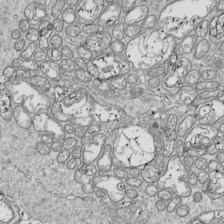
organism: Drosophila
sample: Cell division; meiosis; drosophila spermatocytes